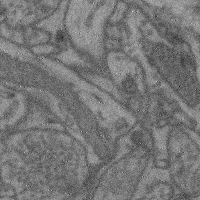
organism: Mouse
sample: Cerebral cortex